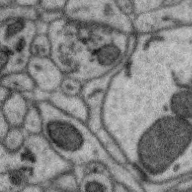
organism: Zebra finch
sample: Brain